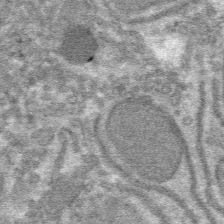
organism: Mouse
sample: Mouse hepatocytes